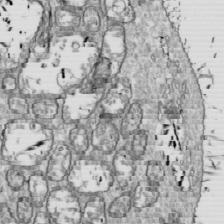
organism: Drosophila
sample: Cell division; meiosis; drosophila spermatocytes